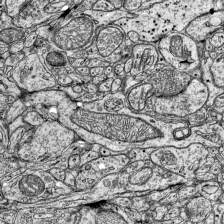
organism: Mouse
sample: Visual Cortex